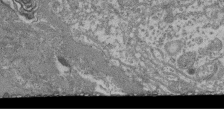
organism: Mouse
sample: Glomerulus